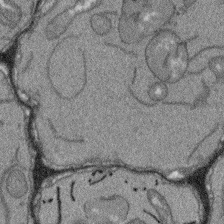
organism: Arabidopsis thaliana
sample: Root tip